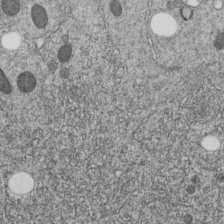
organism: C. elegans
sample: C. elegans embryo early stage